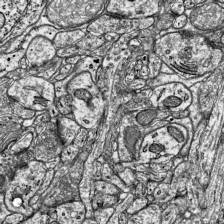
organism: Mouse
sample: Visual Cortex